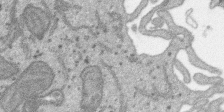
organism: Human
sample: Lung epithelial cells infected with SARS-CoV-2